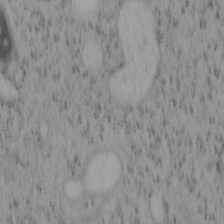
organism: Mouse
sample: OT-I killer T cells with ID8 ovarian cancer cells